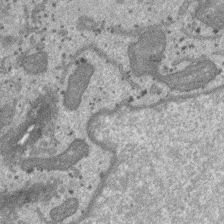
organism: Human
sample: Lung epithelial cells infected with SARS-CoV-2